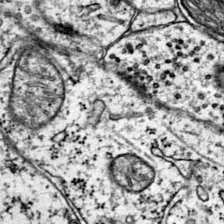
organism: Mouse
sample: Primary visual cortex